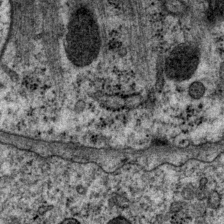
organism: P. pacificus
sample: Pharynx